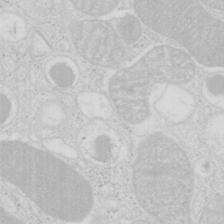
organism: Mouse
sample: Pancreas